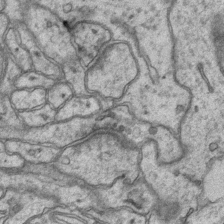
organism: Mouse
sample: CA1 Hippocampus